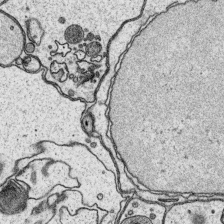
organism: Platynereis dumerilii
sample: Parapodia